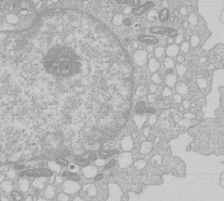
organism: Human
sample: Macrophage cells